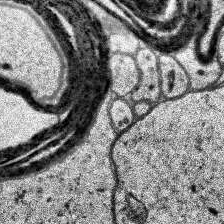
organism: Human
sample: Temporal Lobe